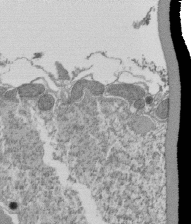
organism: Tetrahymena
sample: Cilia in tetrahymena